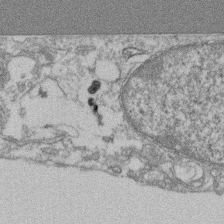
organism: Mouse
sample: T cell stromal cell synapse